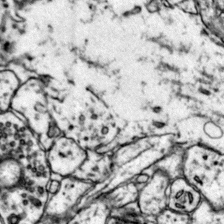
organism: Mouse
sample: Primary visual cortex